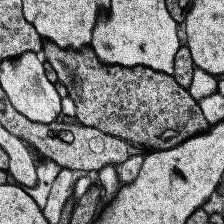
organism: Human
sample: Temporal Lobe